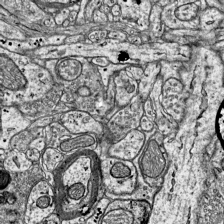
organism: Mouse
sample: Visual Cortex